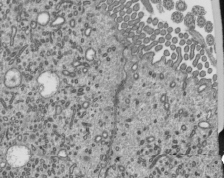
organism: Mouse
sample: Mouse epididymis efferent ductule cilia